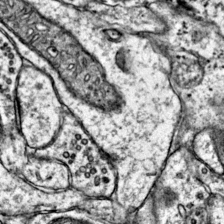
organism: Mouse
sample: Primary visual cortex